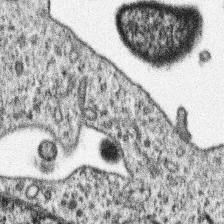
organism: Human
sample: HeLa cells